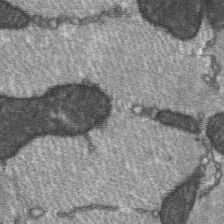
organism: C57BL Mouse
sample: Soleus